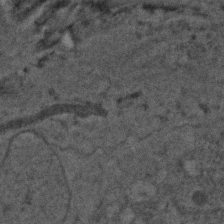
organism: C. elegans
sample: C. elegans embryo